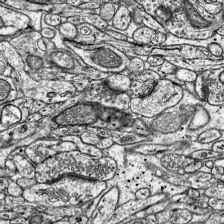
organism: Mouse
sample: Visual Cortex